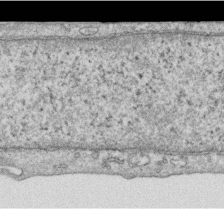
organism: Human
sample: Centriole in RPE cells